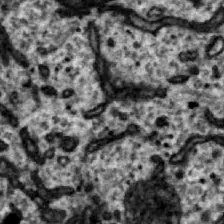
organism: Human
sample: HeLa cells